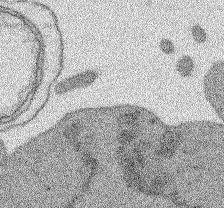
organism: Human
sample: HeLa cells